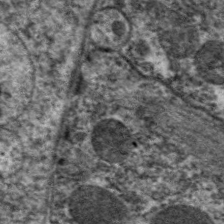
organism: C. elegans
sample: Pharynx